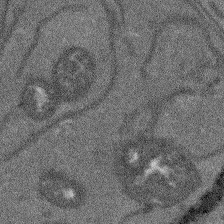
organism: Arabidopsis thaliana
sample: Root tip